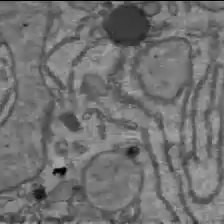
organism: C57BL Mouse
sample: Liver